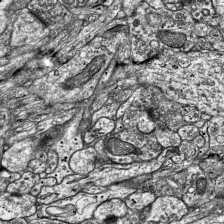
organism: Mouse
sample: Visual Cortex